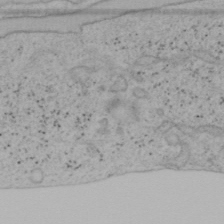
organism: Human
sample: HeLa cells